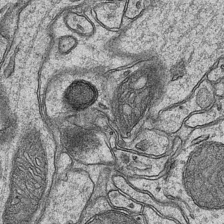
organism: Mouse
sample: CA1 Hippocampus